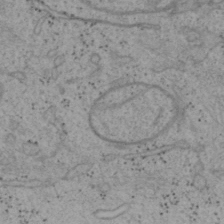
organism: Human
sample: HeLa cells